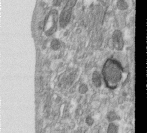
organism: Human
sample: Centriole in RPE cells